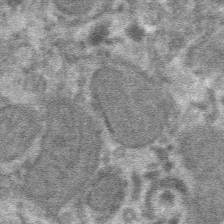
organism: Mouse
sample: Mouse hepatocytes